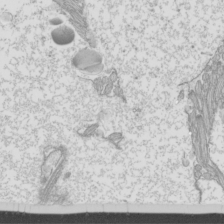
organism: Mouse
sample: Cilia; mouse epididymis